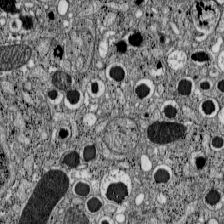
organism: C57BL Mouse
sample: Pancreatic islet